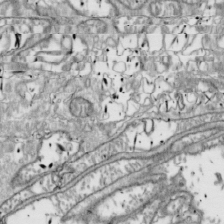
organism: Drosophila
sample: Cell division; meiosis; drosophila spermatocytes